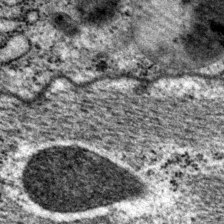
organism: P. pacificus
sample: Pharynx